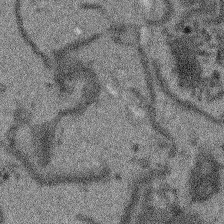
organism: Arabidopsis thaliana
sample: Root tip